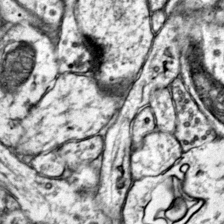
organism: Mouse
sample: Primary visual cortex